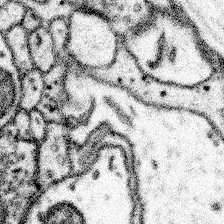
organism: Mouse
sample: Somatosensory cortex neuropil